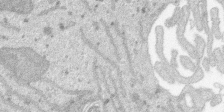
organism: Human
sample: Lung epithelial cells infected with SARS-CoV-2